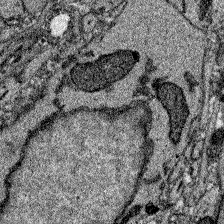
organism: Zebrafish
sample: Larval olfactory bulb